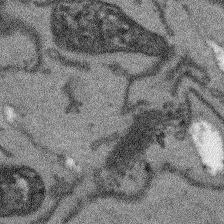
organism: Arabidopsis thaliana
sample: Root tip